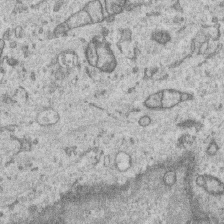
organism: Human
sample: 1205lu cells